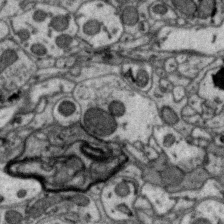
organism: Zebra finch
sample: Brain